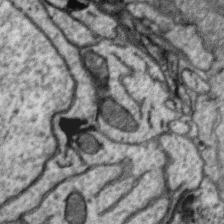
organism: Zebra finch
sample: Brain